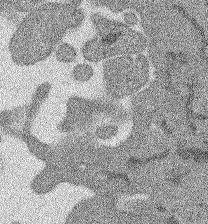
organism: Human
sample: HeLa cells